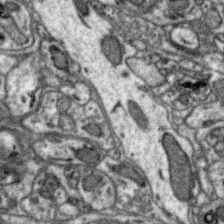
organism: Zebra finch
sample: Brain